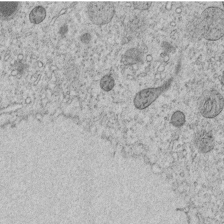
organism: C. elegans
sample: C. elegans embryo early stage